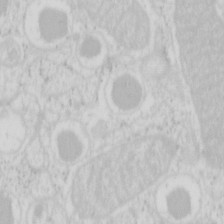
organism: Mouse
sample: Pancreas